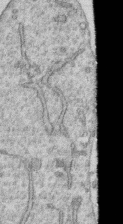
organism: Human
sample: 1205lu cells